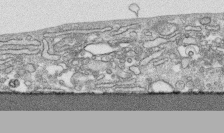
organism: Human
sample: CRL-1474